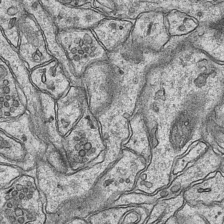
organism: Mouse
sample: CA1 Hippocampus